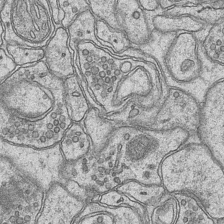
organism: Mouse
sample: CA1 Hippocampus